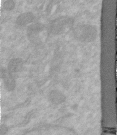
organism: Human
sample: Centriole in RPE cells